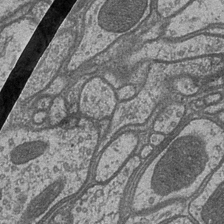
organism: Drosophila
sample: Optic medulla